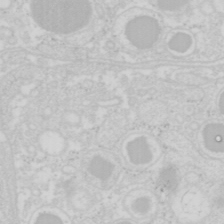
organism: Mouse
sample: Pancreas